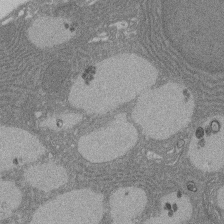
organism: Rat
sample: Salivary granule